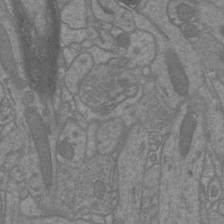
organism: Mouse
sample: Cortical neurons